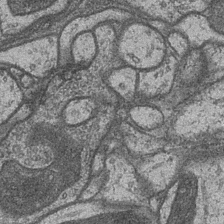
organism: Drosophila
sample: Optic medulla